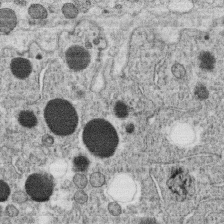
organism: C. elegans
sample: C. elegans oocyte; sperm cells